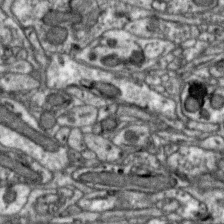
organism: Zebra finch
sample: Brain